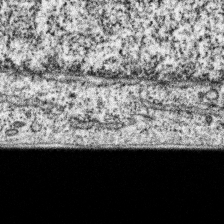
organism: Human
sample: HeLa cells